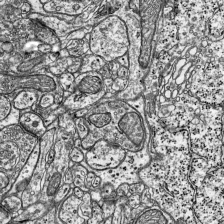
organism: Mouse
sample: Visual Cortex